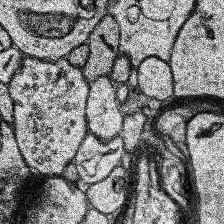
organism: Human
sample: Temporal Lobe